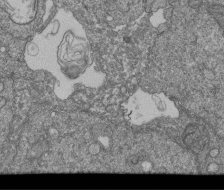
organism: Human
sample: Retinal organoid Rod and Cone cells